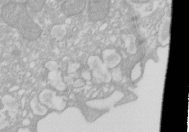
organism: Xenopus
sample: Cilia; centrioles in frog embryo cells